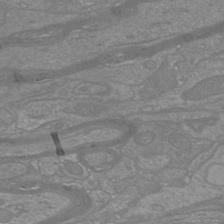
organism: Mouse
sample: Cortical neurons